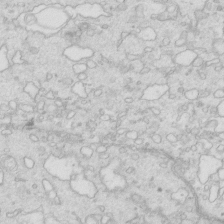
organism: Mouse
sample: Multiciliated cells